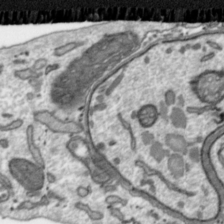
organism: Toxoplasma gondii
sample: Parasites in a vacuole inside a host cell